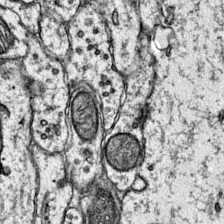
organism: Mouse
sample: Primary visual cortex